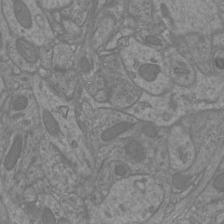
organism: Mouse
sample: Cortical neurons